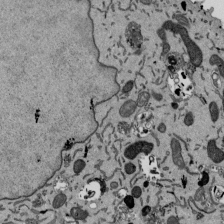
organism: Mouse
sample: ED-1 cell nuclei; centrioles